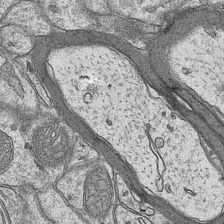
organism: Mouse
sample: CA1 Hippocampus